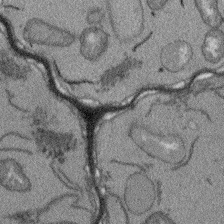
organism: Arabidopsis thaliana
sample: Root tip